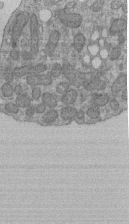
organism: Human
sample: Retinal organoid Rod and Cone cells